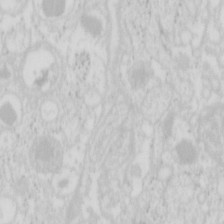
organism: Mouse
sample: Pancreas